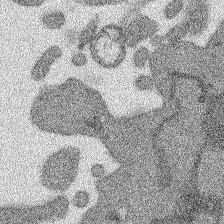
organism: Human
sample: HeLa cells